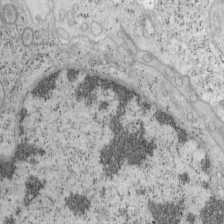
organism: Mouse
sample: OT-I killer T cells with ID8 ovarian cancer cells